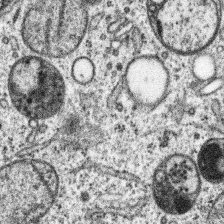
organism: Human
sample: HeLa cells